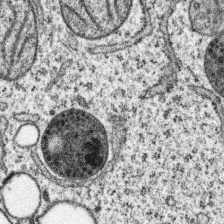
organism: Human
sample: HeLa cells